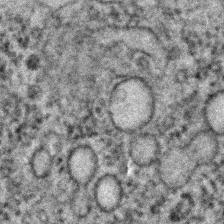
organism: C. elegans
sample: C. elegans embryo